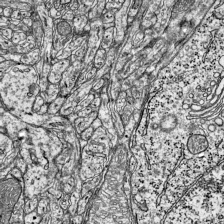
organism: Mouse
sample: Visual Cortex